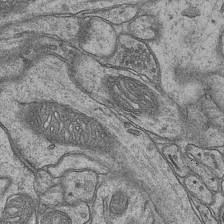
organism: Mouse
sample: CA1 Hippocampus